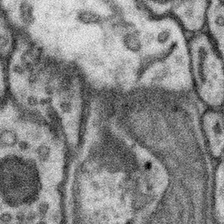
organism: Mouse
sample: Somatosensory cortex neuropil